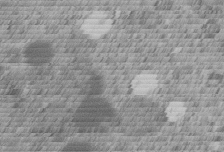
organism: C. elegans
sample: C. elegans embryo early stage